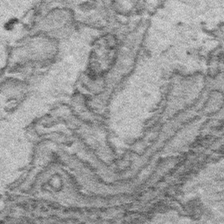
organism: Platynereis dumerilii